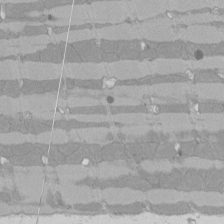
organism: Rat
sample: Left ventricle